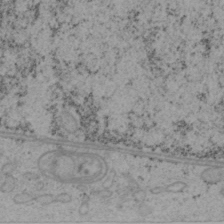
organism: Human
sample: HeLa cells